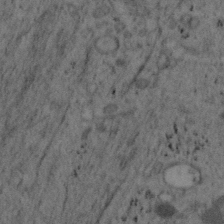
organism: Human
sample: HeLa cells